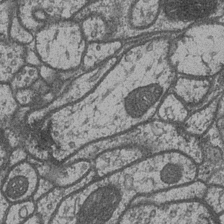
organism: Drosophila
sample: Optic medulla